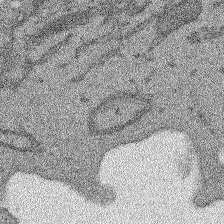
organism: Human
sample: HeLa cells